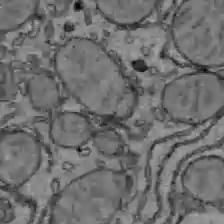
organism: C57BL Mouse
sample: Liver